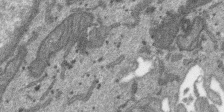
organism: Human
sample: Lung epithelial cells infected with SARS-CoV-2